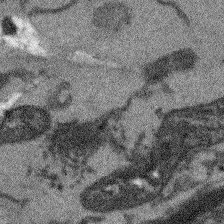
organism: Arabidopsis thaliana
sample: Root tip